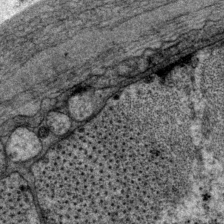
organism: P. pacificus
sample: Pharynx